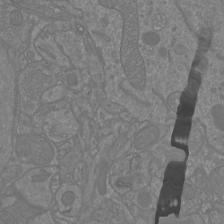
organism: Mouse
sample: Cortical neurons